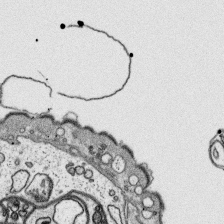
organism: Platynereis dumerilii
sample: Parapodia